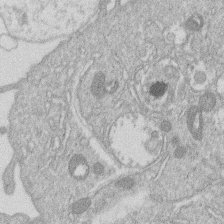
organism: Human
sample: Macrophage cells